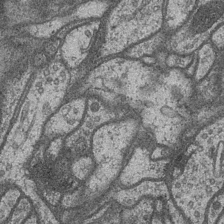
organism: Drosophila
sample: Optic medulla